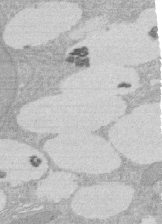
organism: Rat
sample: Salivary granule